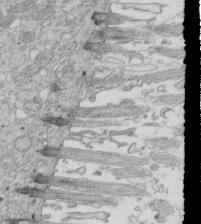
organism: Mouse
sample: Multiciliated cells